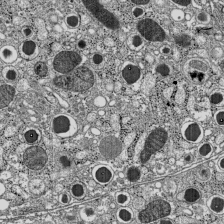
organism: C57BL Mouse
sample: Pancreatic islet